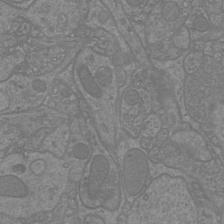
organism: Mouse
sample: Cortical neurons